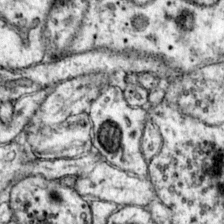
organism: Mouse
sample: Primary visual cortex